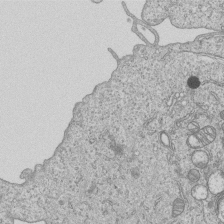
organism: Human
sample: MDA-MB-231 cells